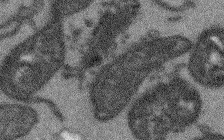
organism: Arabidopsis thaliana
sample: Root tip